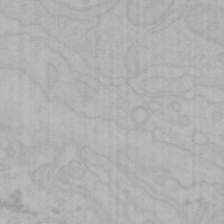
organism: Mouse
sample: Choroid plexus